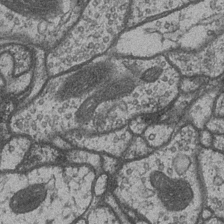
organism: Drosophila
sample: Optic medulla